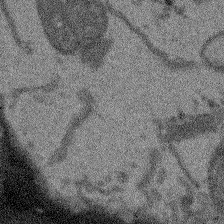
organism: Arabidopsis thaliana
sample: Root tip